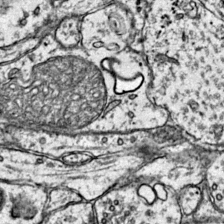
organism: Mouse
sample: Primary visual cortex